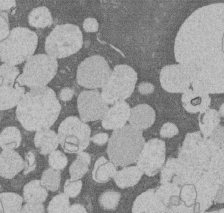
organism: Rat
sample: Salivary granule